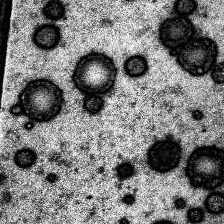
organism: Human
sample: Temporal Lobe